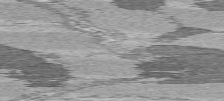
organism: C57BL Mouse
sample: Heart